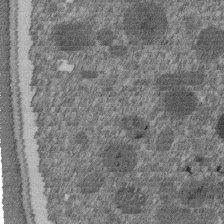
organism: C. elegans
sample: C. elegans embryo early stage